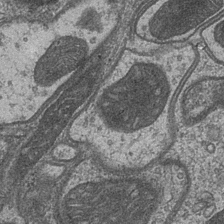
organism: Drosophila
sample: Optic medulla